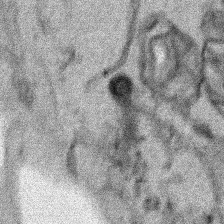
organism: Human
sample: Mitochondria in HCT116 cells